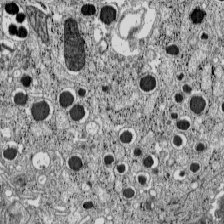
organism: C57BL Mouse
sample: Pancreatic islet